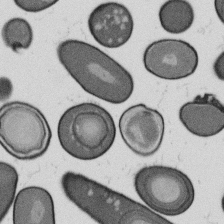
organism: B. subtilis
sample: Bacterial spore